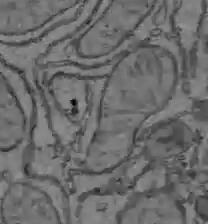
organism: C57BL Mouse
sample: Liver